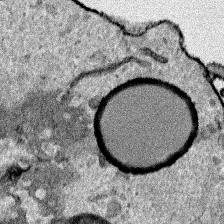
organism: Human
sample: Mitochondria in HCT116 cells